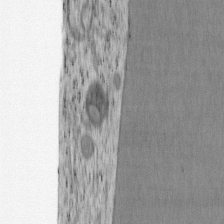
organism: Human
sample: HeLa cells